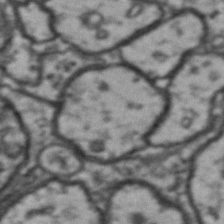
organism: Drosophila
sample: Brain